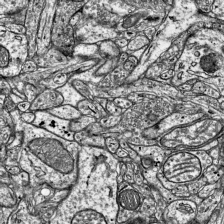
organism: Mouse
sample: Visual Cortex